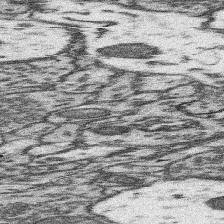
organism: Mouse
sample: Somatosensory cortex neuropil